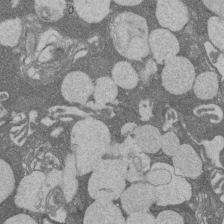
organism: Rat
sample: Salivary granule